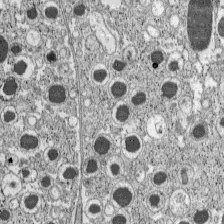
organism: C57BL Mouse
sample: Pancreatic islet